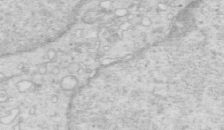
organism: Mouse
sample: Multiciliated cells